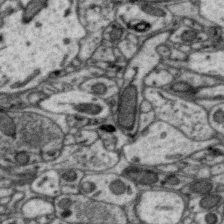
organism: Zebra finch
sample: Brain